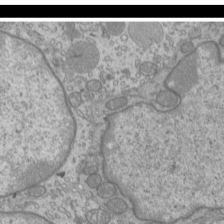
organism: Mouse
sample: Cilia; mouse epididymis